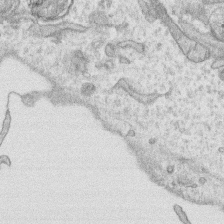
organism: Human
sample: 1205lu cells